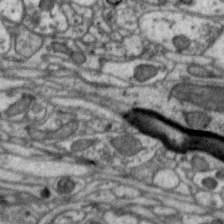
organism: Zebra finch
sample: Brain